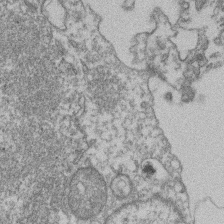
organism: Mouse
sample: T cell stromal cell synapse